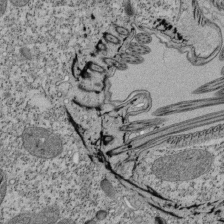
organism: Tetrahymena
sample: Cilia in tetrahymena